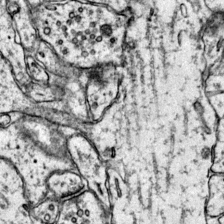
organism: Mouse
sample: Primary visual cortex